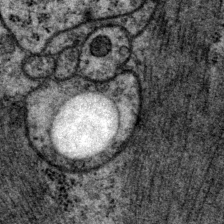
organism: P. pacificus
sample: Pharynx